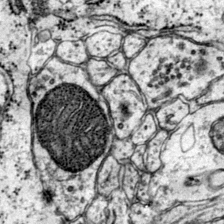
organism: Mouse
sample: Primary visual cortex